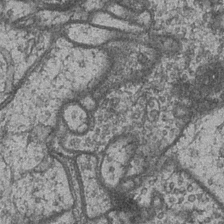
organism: Drosophila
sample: Optic medulla